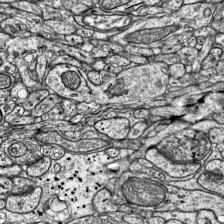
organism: Mouse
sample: Visual Cortex